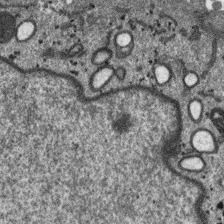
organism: Human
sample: Lung epithelial cells infected with SARS-CoV-2